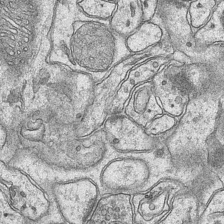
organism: Mouse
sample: CA1 Hippocampus